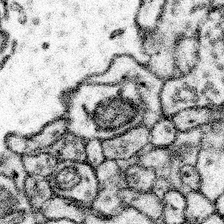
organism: Mouse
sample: Somatosensory cortex neuropil